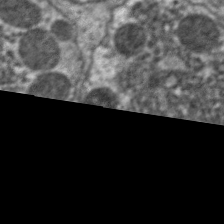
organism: C. elegans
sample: Pharynx